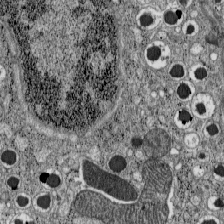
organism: C57BL Mouse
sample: Pancreatic islet